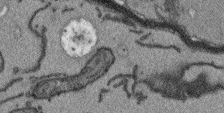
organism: Arabidopsis thaliana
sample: Root tip